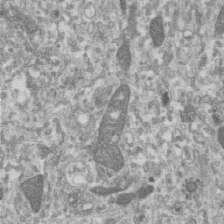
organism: Human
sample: Centriole in RPE cells